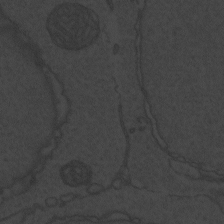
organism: Zebrafish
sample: Macrophage infected with Toxoplasma gondii